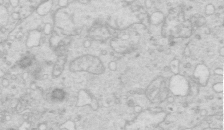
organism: Mouse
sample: Multiciliated cells